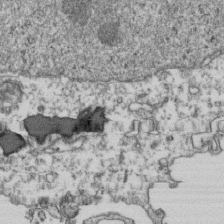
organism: Human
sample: Activated Jurkat CD4+ T cells